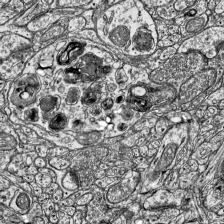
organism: Mouse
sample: Visual Cortex